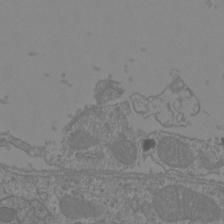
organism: Mouse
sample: Cortical neurons